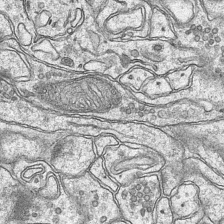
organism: Mouse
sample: CA1 Hippocampus